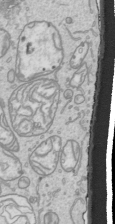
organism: Human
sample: Mitochondria in HCT116 cells